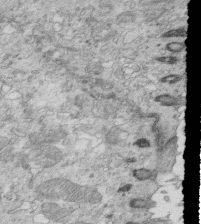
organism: Mouse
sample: Multiciliated cells